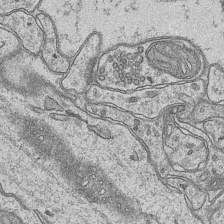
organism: Mouse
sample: CA1 Hippocampus